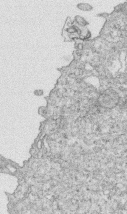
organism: Human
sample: HeLa cell HIV synapse